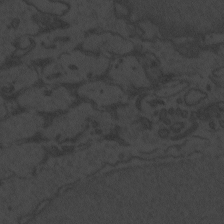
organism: Zebrafish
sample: Macrophage infected with Toxoplasma gondii